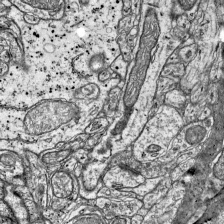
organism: Mouse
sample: Visual Cortex